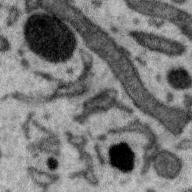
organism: Zebra finch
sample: Brain